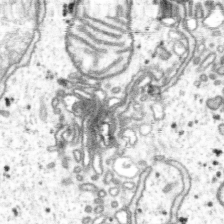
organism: Human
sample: HeLa cells